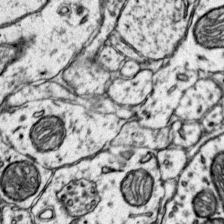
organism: Mouse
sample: Primary visual cortex